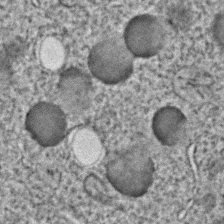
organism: C. elegans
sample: C. elegans embryo